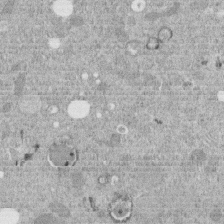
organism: C. elegans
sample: C. elegans embryo early stage